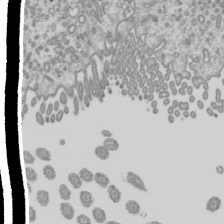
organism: Mouse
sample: Cilia; mouse epididymis